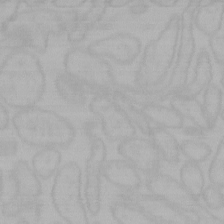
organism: Mouse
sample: Choroid plexus